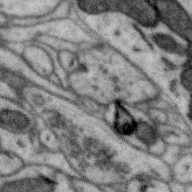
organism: Zebra finch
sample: Brain